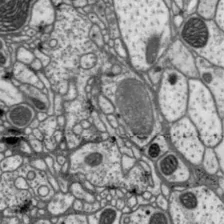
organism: Drosophila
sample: Protocerebral bridge